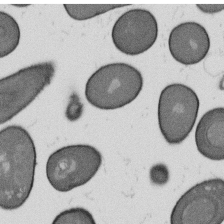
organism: B. subtilis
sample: Bacterial spore